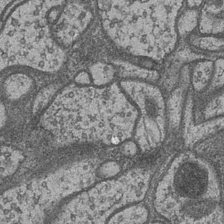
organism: Drosophila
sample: Optic medulla